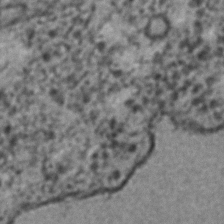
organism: C. elegans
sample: C. elegans embryo